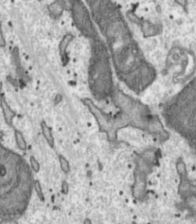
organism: Toxoplasma gondii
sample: Parasites in a vacuole inside a host cell